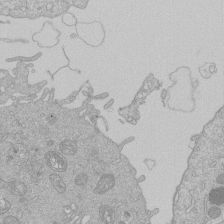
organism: Human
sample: Macrophage cells